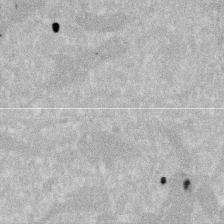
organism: Human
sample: HIV infected U937 cells